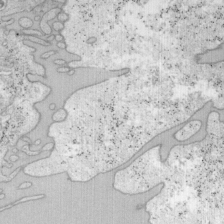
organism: Mouse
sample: OT-I killer T cells with ID8 ovarian cancer cells